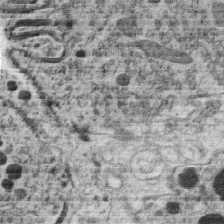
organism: C. elegans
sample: C. elegans oocyte; sperm cells